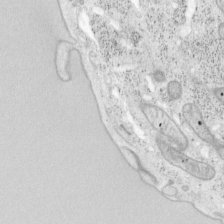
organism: Mouse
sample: OT-I killer T cells with ID8 ovarian cancer cells